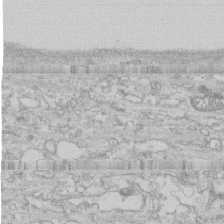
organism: Human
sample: CRL-1474